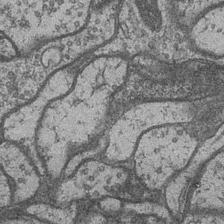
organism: Drosophila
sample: Optic medulla